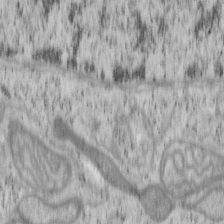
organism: Human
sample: HeLa cells